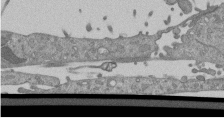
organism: Mouse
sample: ED-1 cell nuclei; centrioles